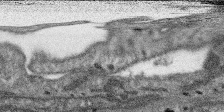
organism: Human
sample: Lung epithelial cells infected with SARS-CoV-2